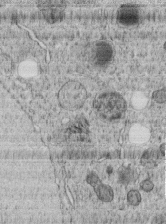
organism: C. elegans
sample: C. elegans embryo early stage